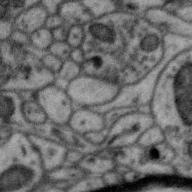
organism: Zebra finch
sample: Brain